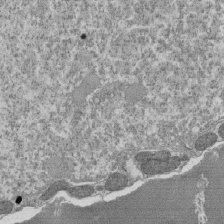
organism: Tetrahymena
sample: Cilia in tetrahymena